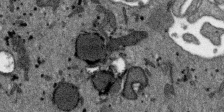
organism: Human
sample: Lung epithelial cells, uninfected (mock) control